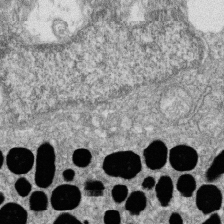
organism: Zebrafish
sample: Cilia; retinal pigment epithelium